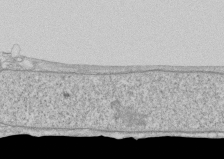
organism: Human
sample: CRL-1474